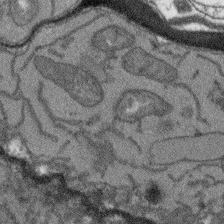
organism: Arabidopsis thaliana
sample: Root tip